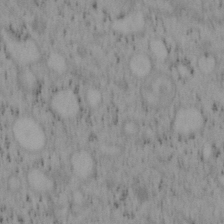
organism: Mouse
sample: OT-I killer T cells with ID8 ovarian cancer cells